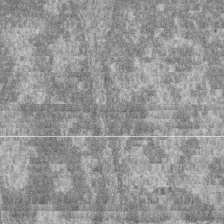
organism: Zebrafish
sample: Cilia; retinal pigment epithelium